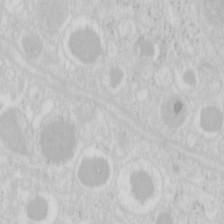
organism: Mouse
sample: Pancreas